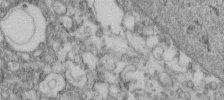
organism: Human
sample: Centriole in fibroblast cells